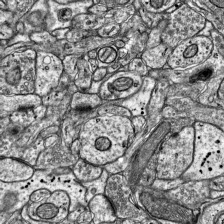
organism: Mouse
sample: Visual Cortex